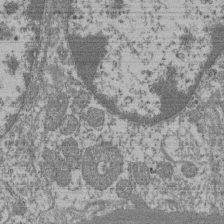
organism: Mouse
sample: Glomerulus